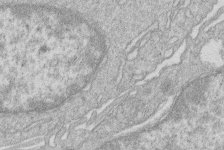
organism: Human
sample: Macrophage cells